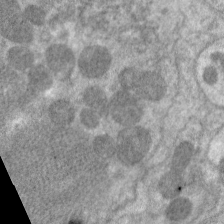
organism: C. elegans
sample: Pharynx